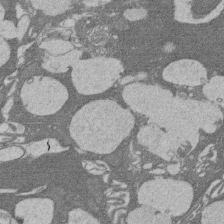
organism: Rat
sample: Salivary granule